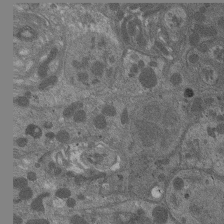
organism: Drosophila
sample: Antenna